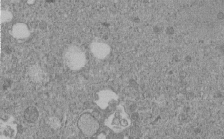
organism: C. elegans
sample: C. elegans embryo early stage